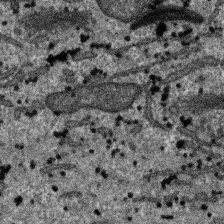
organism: Human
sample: Lung epithelial cells infected with SARS-CoV-2